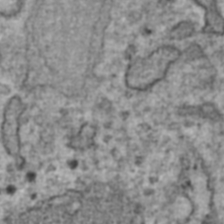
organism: Human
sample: Blood